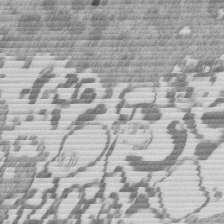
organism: Mouse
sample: Dividing mouse embryo 1 cell stage